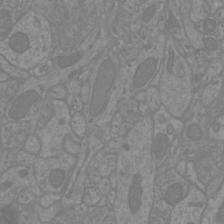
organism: Mouse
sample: Cortical neurons